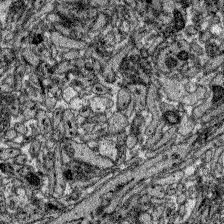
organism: Zebrafish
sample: Larval olfactory bulb